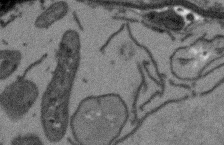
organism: Arabidopsis thaliana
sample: Root tip